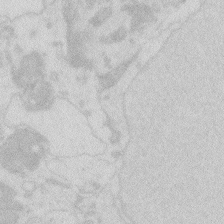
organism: Zebrafish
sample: Macrophage